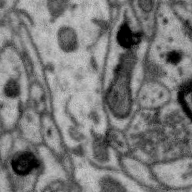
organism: Zebra finch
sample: Brain